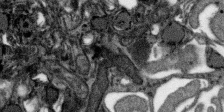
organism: Human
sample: Lung epithelial cells, uninfected (mock) control